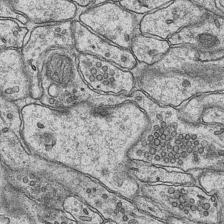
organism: Mouse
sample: CA1 Hippocampus